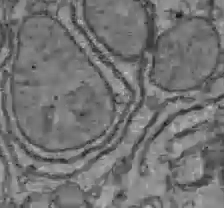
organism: C57BL Mouse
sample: Liver